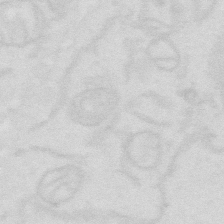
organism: Human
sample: HeLa cells